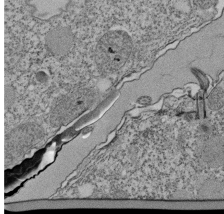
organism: Tetrahymena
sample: Cilia in tetrahymena